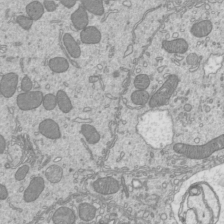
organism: Mouse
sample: Cilia; mouse epididymis